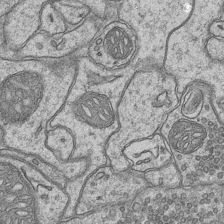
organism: Mouse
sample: CA1 Hippocampus